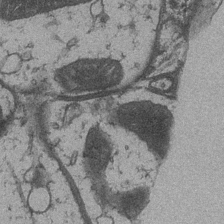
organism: Drosophila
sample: Optic medulla